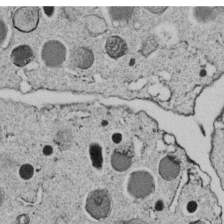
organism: C. elegans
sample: C. elegans embryo early stage